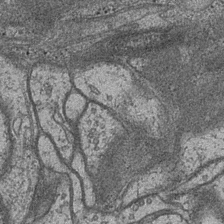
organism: Drosophila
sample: Optic medulla